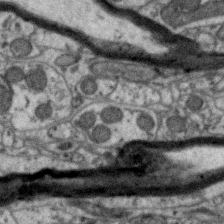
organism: Zebra finch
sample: Brain